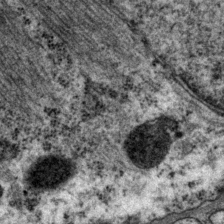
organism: P. pacificus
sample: Pharynx